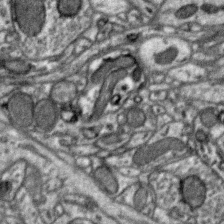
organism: Zebra finch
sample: Brain